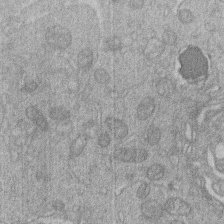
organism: Human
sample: Macrophage cells